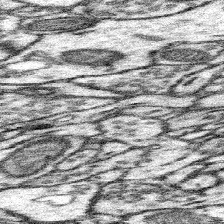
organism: Mouse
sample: Somatosensory cortex neuropil